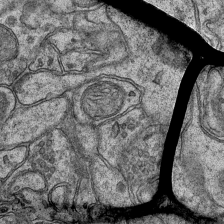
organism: Mouse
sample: CA1 Hippocampus